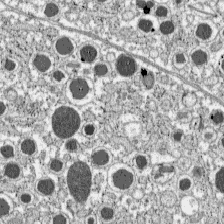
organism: C57BL Mouse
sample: Pancreatic islet